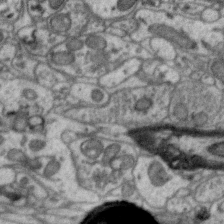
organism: Zebra finch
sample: Brain